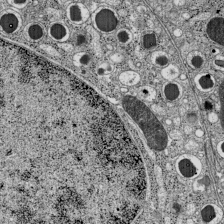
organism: C57BL Mouse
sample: Pancreatic islet